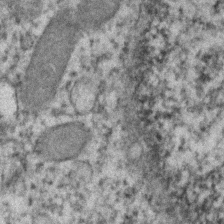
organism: Human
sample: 1205lu cells